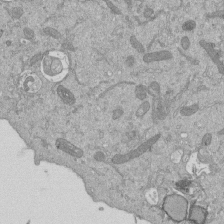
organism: Mouse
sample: ED-1 cell nuclei; centrioles